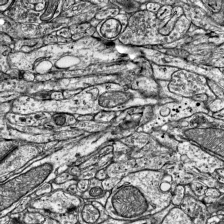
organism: Mouse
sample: Visual Cortex